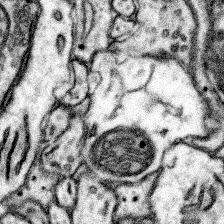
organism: Mouse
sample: Somatosensory cortex neuropil